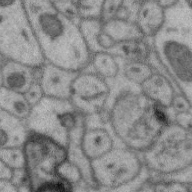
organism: Zebra finch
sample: Brain